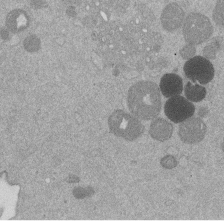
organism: Mouse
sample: Dividing mouse embryo 1 cell stage